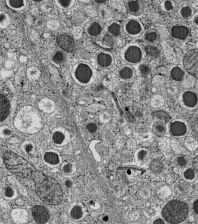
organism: C57BL Mouse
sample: Pancreatic islet